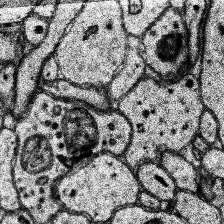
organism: Human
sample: Temporal Lobe